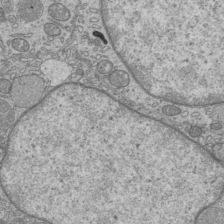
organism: Mouse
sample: Cilia; mouse epididymis